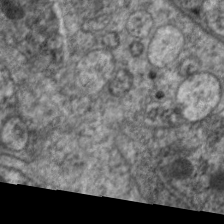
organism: C. elegans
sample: Pharynx